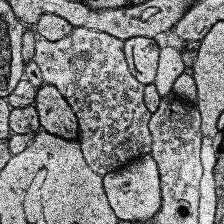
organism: Human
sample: Temporal Lobe